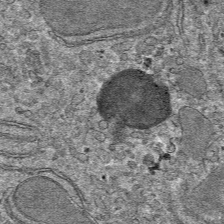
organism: Mouse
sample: Mouse hepatocytes